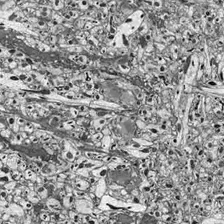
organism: Drosophila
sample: Optic lobe